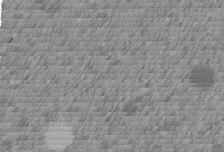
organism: C. elegans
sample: C. elegans embryo early stage